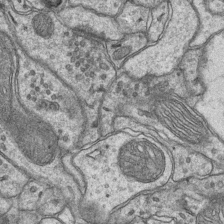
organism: Mouse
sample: CA1 Hippocampus